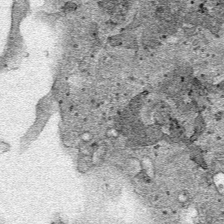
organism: Human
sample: Mitochondria in HCT116 cells